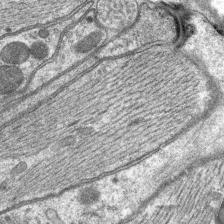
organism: C. elegans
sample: Pharynx